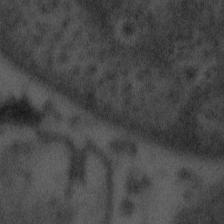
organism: Tuwongella immobilis